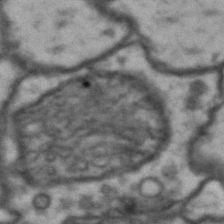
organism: Drosophila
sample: Brain